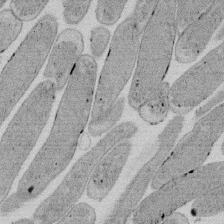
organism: E. coli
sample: Bacterial nucleoid